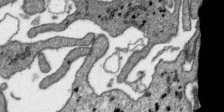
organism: Human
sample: Lung epithelial cells, uninfected (mock) control